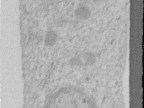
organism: Human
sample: Centriole in RPE cells